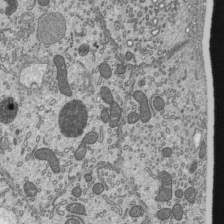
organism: Mouse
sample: Mouse epididymis efferent ductule cilia